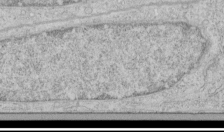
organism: Human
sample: Mitochondria in HCT116 cells